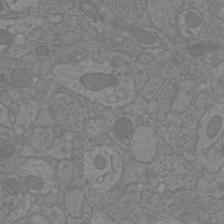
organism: Mouse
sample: Cortical neurons